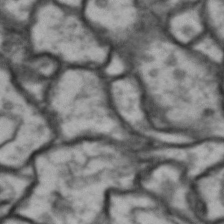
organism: Drosophila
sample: Brain